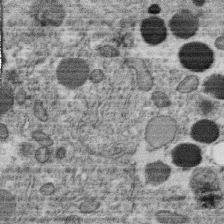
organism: C. elegans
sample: C. elegans oocyte; sperm cells